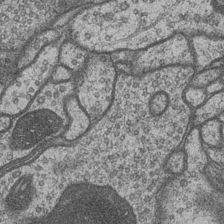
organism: Drosophila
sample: Optic medulla